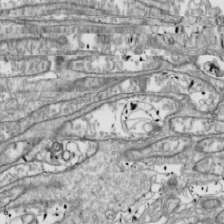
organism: Drosophila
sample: Cell division; meiosis; drosophila spermatocytes